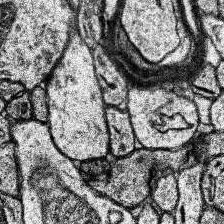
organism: Human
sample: Temporal Lobe